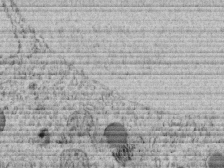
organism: C. elegans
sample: C. elegans embryo early stage